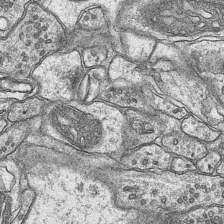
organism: Mouse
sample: CA1 Hippocampus